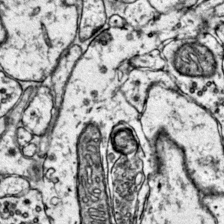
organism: Mouse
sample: Primary visual cortex